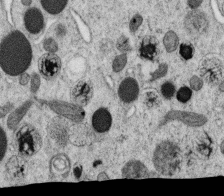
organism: C. elegans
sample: C. elegans oocyte; sperm cells